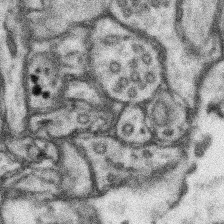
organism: Mouse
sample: Somatosensory cortex neuropil